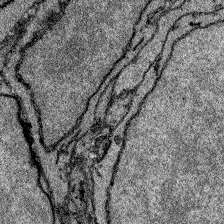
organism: Zebrafish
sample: Larval olfactory bulb